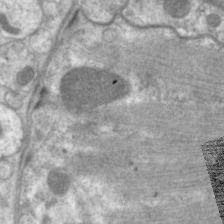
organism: C. elegans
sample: Pharynx